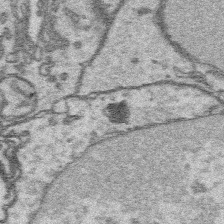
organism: Platynereis dumerilii